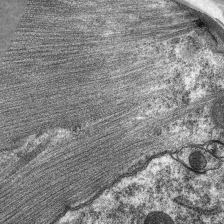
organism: C. elegans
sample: Pharynx